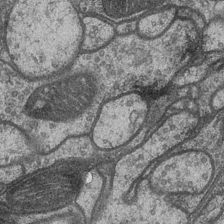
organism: Drosophila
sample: Optic medulla